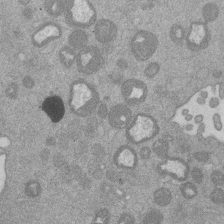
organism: Mouse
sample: Dividing mouse embryo 1 cell stage